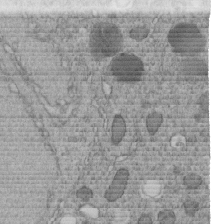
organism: C. elegans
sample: C. elegans embryo early stage